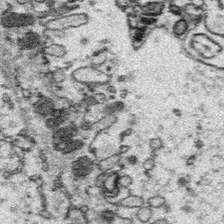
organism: Platynereis dumerilii